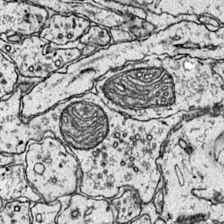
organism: Mouse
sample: Primary visual cortex